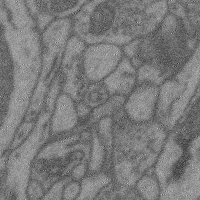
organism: Mouse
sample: Cerebral cortex